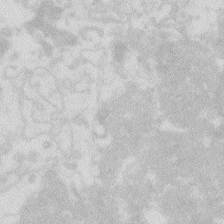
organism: Zebrafish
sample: Macrophage